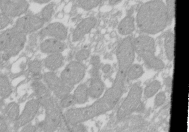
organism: Xenopus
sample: Cilia; centrioles in frog embryo cells